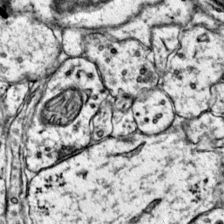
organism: Mouse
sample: Primary visual cortex